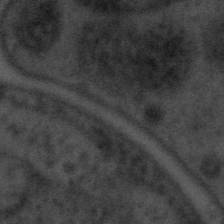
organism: Tuwongella immobilis